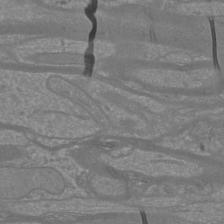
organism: Mouse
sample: Cortical neurons